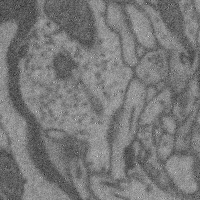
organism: Mouse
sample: Cerebral cortex